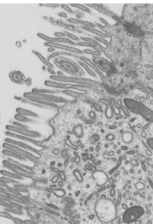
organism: Mouse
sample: Mouse epididymis efferent ductule cilia